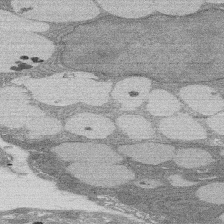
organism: Rat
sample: Salivary granule